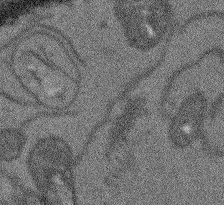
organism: Arabidopsis thaliana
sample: Root tip